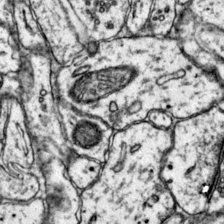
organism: Mouse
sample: Primary visual cortex